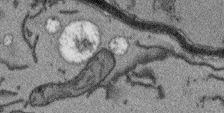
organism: Arabidopsis thaliana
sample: Root tip